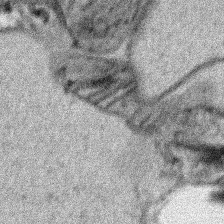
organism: Human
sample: Mitochondria in HCT116 cells